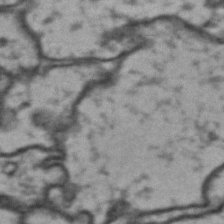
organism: Drosophila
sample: Brain